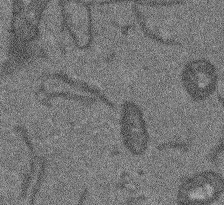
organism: Arabidopsis thaliana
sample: Root tip